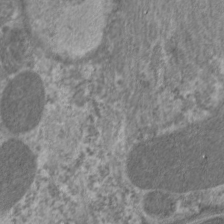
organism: C. elegans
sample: Pharynx